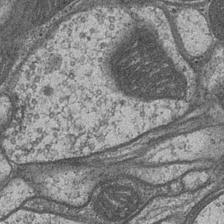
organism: Drosophila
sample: Optic medulla